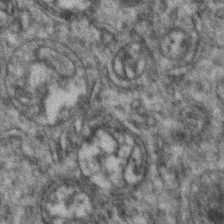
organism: Zebrafish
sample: Zebrafish embryo